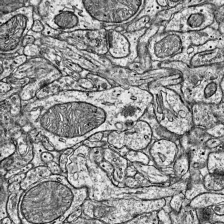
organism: Mouse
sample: Visual Cortex